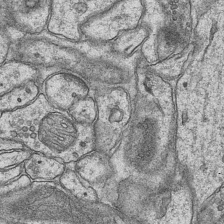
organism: Mouse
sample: CA1 Hippocampus